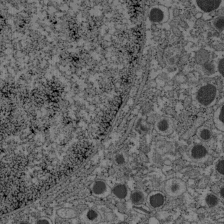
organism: C57BL Mouse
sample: Pancreatic islet